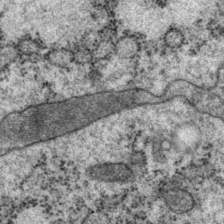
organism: P. pacificus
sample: Pharynx